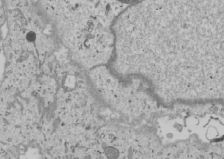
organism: Human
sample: Mitochondria in U2OS cells